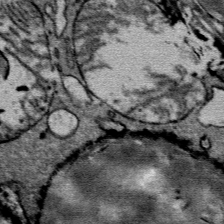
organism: Mouse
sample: Mouse Salivary gland